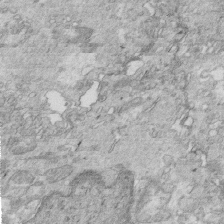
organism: Mouse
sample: Multiciliated cells